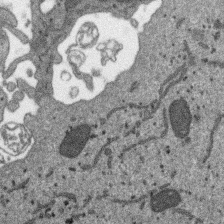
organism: Human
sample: Lung epithelial cells infected with SARS-CoV-2